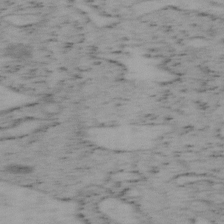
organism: Mouse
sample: OT-I killer T cells with ID8 ovarian cancer cells